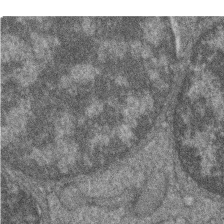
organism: Zebrafish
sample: Cilia; retinal pigment epithelium